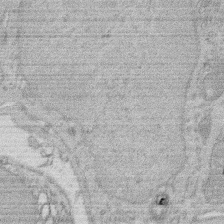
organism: Rat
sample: Salivary granule